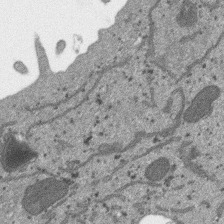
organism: Human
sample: Lung epithelial cells infected with SARS-CoV-2